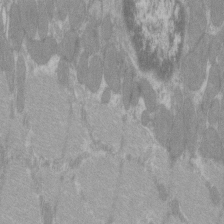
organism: C57BL Mouse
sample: Tibialis anterior muscle cell